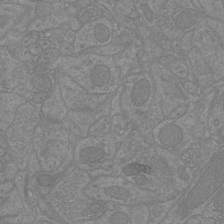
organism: Mouse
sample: Cortical neurons